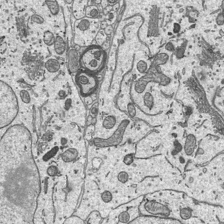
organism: Mouse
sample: Suprachiasmatic nucleus